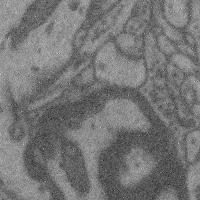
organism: Mouse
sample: Cerebral cortex